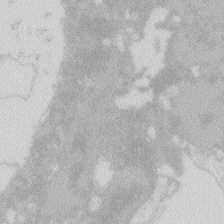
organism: Zebrafish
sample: Macrophage